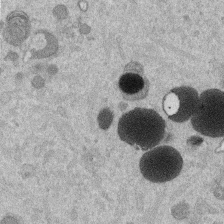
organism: Mouse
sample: Dividing mouse embryo 1 cell stage